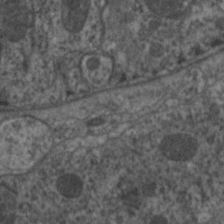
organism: C. elegans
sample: Pharynx